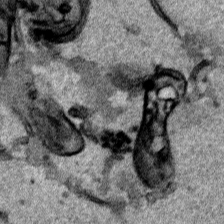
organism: Human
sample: Mitochondria in HCT116 cells